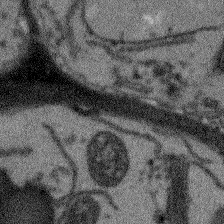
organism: Arabidopsis thaliana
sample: Root tip